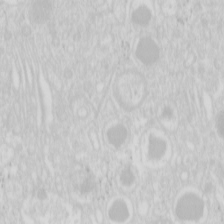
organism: Mouse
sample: Pancreas